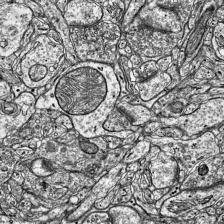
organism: Mouse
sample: Visual Cortex